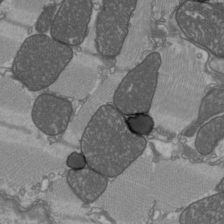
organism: C57BL Mouse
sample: Heart